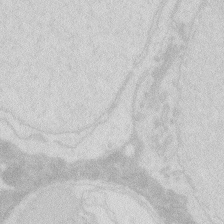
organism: Zebrafish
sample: Macrophage